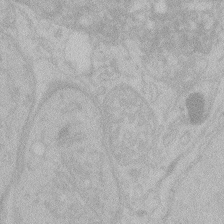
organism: Zebrafish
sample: Macrophage infected with Toxoplasma gondii